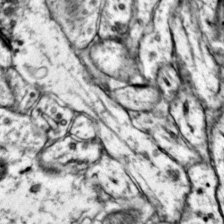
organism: Mouse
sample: Primary visual cortex